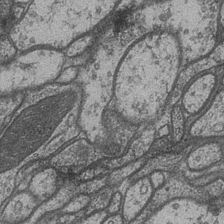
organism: Drosophila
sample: Optic medulla